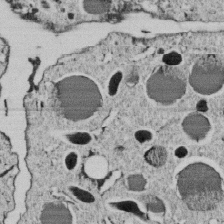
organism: C. elegans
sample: C. elegans embryo early stage